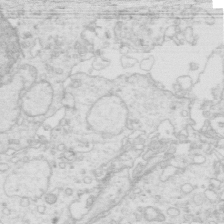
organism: Mouse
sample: Multiciliated cells